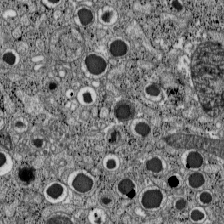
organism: C57BL Mouse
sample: Pancreatic islet